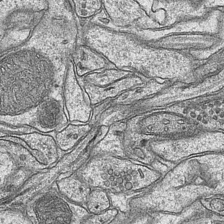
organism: Mouse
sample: CA1 Hippocampus